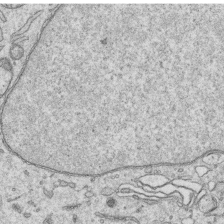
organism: Human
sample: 1205lu cells